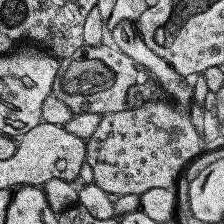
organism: Human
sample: Temporal Lobe